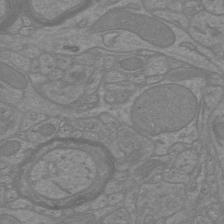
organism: Mouse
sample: Cortical neurons